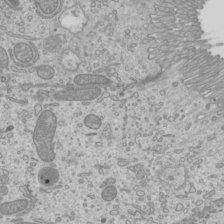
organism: Mouse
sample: Cilia; mouse epididymis